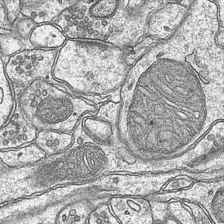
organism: Mouse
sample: CA1 Hippocampus